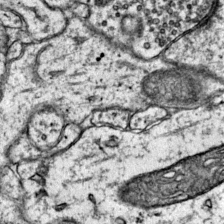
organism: Mouse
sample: Primary visual cortex